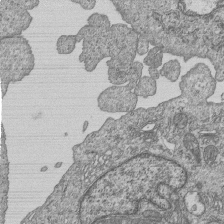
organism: Human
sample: MDA-MB-231 cells